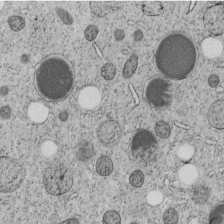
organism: C. elegans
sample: C. elegans embryo early stage